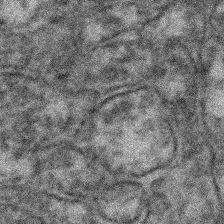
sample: Kidney